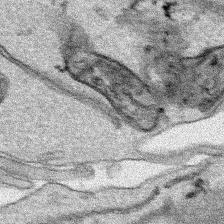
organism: Human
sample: Mitochondria in HCT116 cells